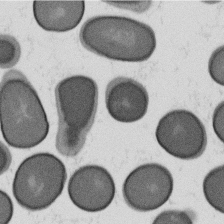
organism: B. subtilis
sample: Bacterial spore